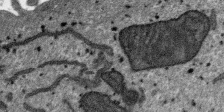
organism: Human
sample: Lung epithelial cells, uninfected (mock) control